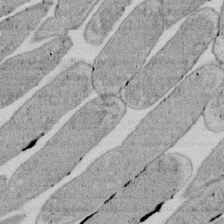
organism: E. coli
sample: Bacterial nucleoid